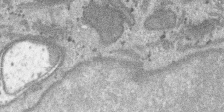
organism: Human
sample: Lung epithelial cells infected with SARS-CoV-2